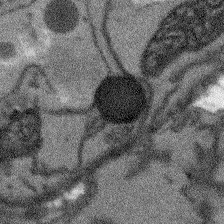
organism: Arabidopsis thaliana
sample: Root tip